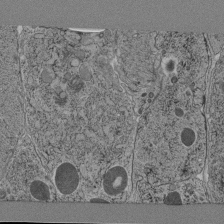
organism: C. elegans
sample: C. elegans pharynx